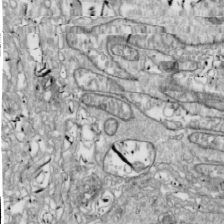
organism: Drosophila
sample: Cell division; meiosis; drosophila spermatocytes